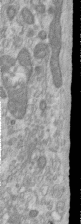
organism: Human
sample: Centriole in RPE cells